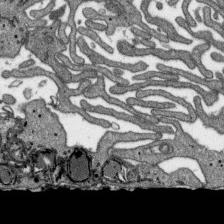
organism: Human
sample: Lung epithelial cells, uninfected (mock) control